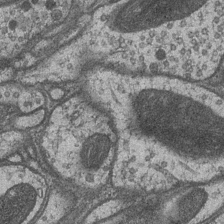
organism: Drosophila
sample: Optic medulla